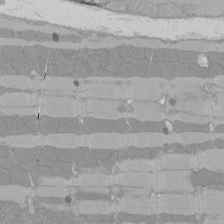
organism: Rat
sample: Left ventricle